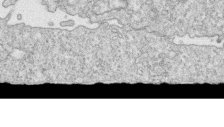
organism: Human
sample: HeLa cell HIV synapse